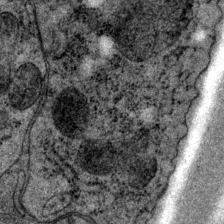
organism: P. pacificus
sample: Pharynx